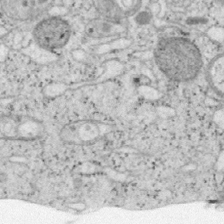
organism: Mouse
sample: OT-I killer T cells with ID8 ovarian cancer cells